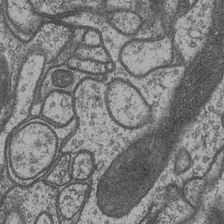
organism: Drosophila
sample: Optic medulla